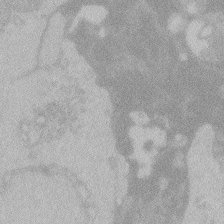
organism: Zebrafish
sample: Macrophage infected with Toxoplasma gondii